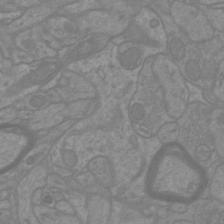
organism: Mouse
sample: Cortical neurons